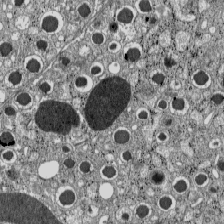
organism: C57BL Mouse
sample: Pancreatic islet